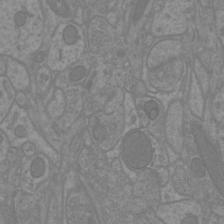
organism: Mouse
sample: Cortical neurons